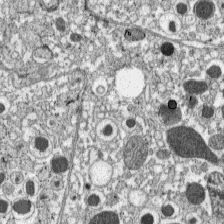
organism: C57BL Mouse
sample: Pancreatic islet